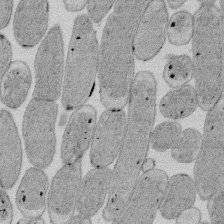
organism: E. coli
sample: Bacterial nucleoid